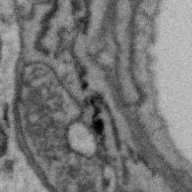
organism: Zebra finch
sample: Brain